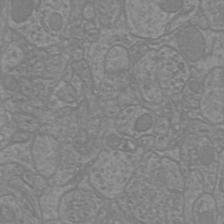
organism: Mouse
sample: Cortical neurons